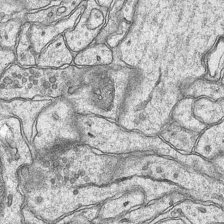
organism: Mouse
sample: CA1 Hippocampus